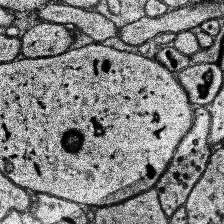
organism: Human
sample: Temporal Lobe